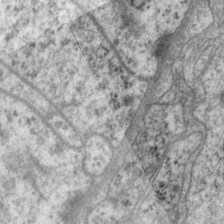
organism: P. pacificus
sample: Pharynx